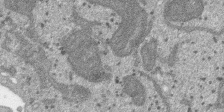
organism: Human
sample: Lung epithelial cells infected with SARS-CoV-2